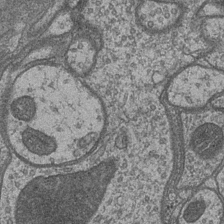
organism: Drosophila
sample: Optic medulla